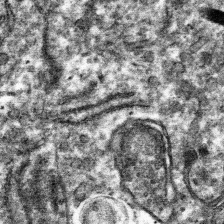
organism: Mouse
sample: Mouse hepatocytes